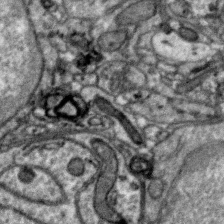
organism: Zebra finch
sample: Brain